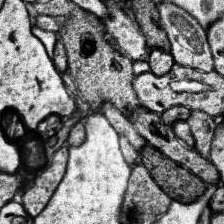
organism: Human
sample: Temporal Lobe